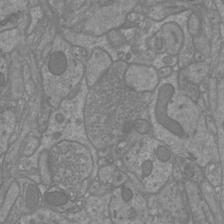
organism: Mouse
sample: Cortical neurons